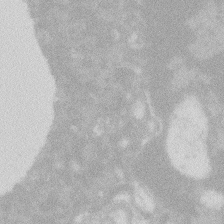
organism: Zebrafish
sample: Macrophage